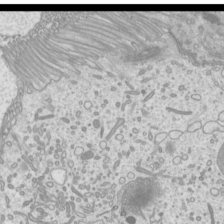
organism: Mouse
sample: Cilia; mouse epididymis